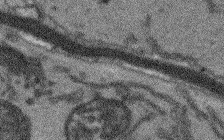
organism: Arabidopsis thaliana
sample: Root tip